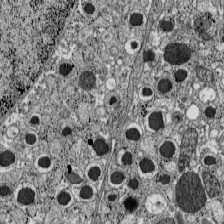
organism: C57BL Mouse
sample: Pancreatic islet